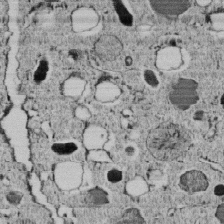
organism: C. elegans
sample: C. elegans embryo early stage